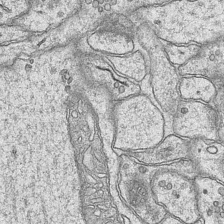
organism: Mouse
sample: CA1 Hippocampus